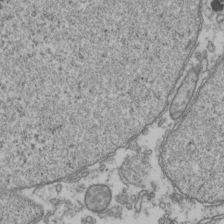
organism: Human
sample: Activated Jurkat CD4+ T cells